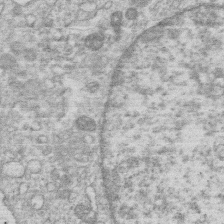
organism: Human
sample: Macrophage cells